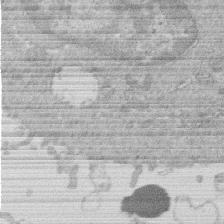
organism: Human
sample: Macrophage cells